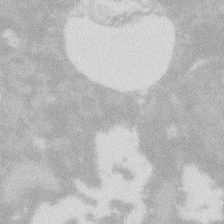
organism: Zebrafish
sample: Macrophage